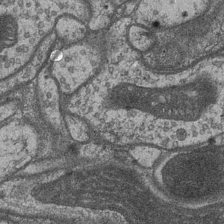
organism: Drosophila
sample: Optic medulla